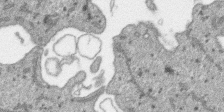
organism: Human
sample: Lung epithelial cells infected with SARS-CoV-2